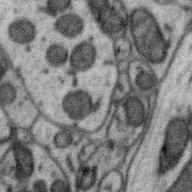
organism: Zebra finch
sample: Brain